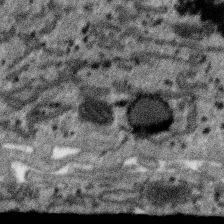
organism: Human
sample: Lung epithelial cells infected with SARS-CoV-2